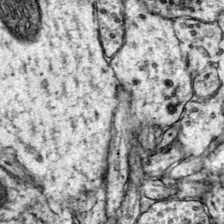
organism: Mouse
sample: Primary visual cortex